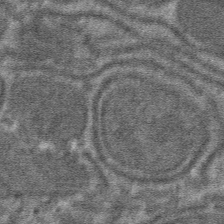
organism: Mouse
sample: Mouse hepatocytes